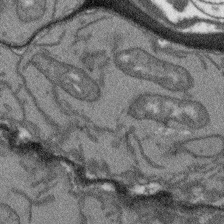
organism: Arabidopsis thaliana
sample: Root tip